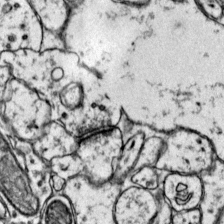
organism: Mouse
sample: Primary visual cortex